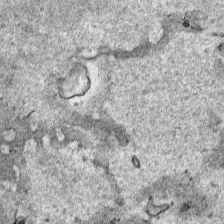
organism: Human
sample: Mitochondria in HCT116 cells